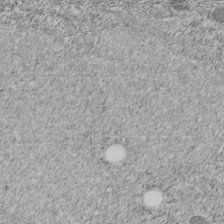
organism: C. elegans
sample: C. elegans embryo early stage